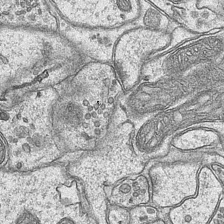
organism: Mouse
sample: CA1 Hippocampus